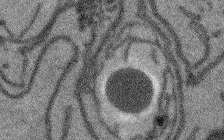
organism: Arabidopsis thaliana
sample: Root tip